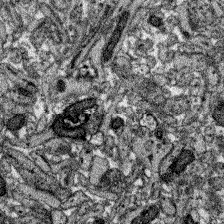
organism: Zebrafish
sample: Larval olfactory bulb